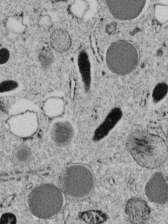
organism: C. elegans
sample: C. elegans embryo early stage